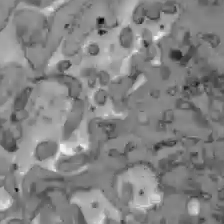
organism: C57BL Mouse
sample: Liver